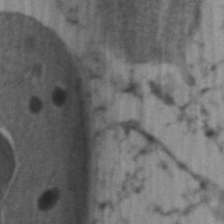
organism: Zebrafish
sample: Zebrafish embryo